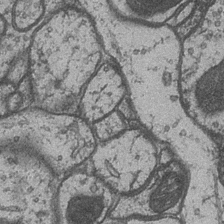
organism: Drosophila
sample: Optic medulla